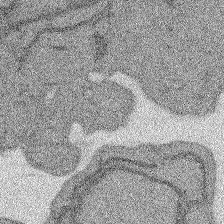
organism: Human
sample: HeLa cells